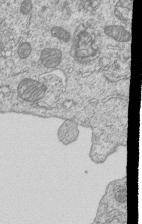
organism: Human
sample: MDA-MB-231 cells